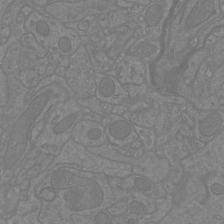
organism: Mouse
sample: Cortical neurons